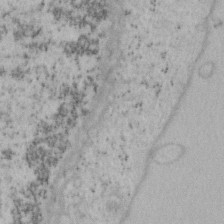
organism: Human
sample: HeLa cells